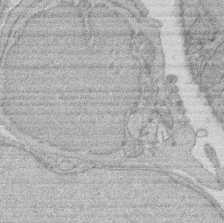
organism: Rat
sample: Salivary granule